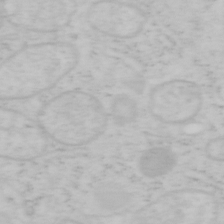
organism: Mouse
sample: OT-I killer T cells with ID8 ovarian cancer cells